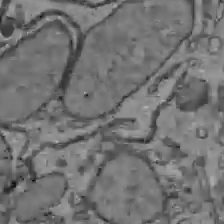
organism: C57BL Mouse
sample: Liver